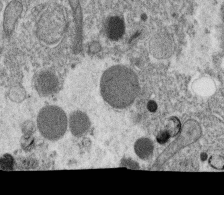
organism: C. elegans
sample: C. elegans oocyte; sperm cells